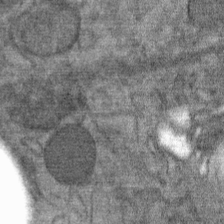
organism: Mouse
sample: Mouse Salivary gland